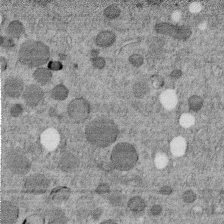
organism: C. elegans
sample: C. elegans embryo early stage